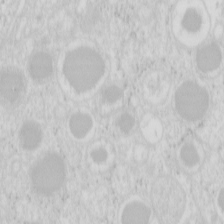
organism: Mouse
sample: Pancreas